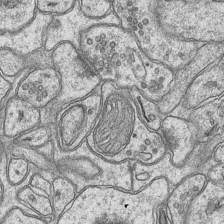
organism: Mouse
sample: CA1 Hippocampus